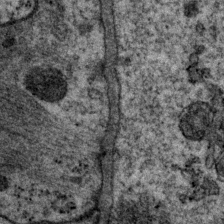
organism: P. pacificus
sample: Pharynx